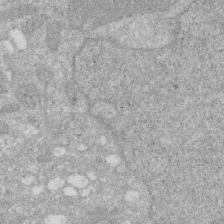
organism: Human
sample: HIV infected U937 cells